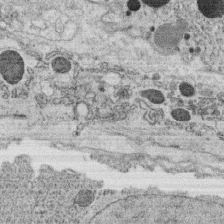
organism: C. elegans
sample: C. elegans oocyte; sperm cells